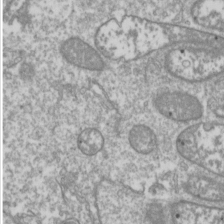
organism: Drosophila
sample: Cell division; meiosis; drosophila spermatocytes